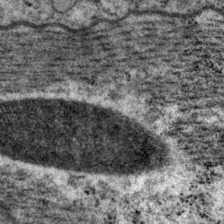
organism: P. pacificus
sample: Pharynx